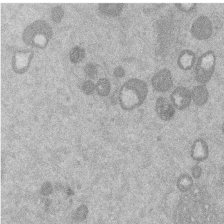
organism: Mouse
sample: Dividing mouse embryo 1 cell stage